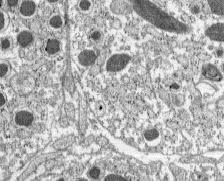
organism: C57BL Mouse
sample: Pancreatic islet